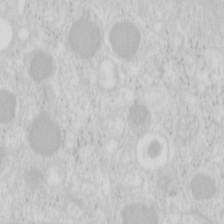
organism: Mouse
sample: Pancreas